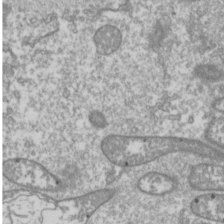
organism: Drosophila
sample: Cell division; meiosis; drosophila spermatocytes